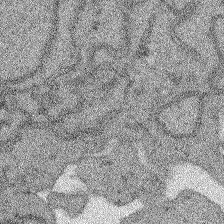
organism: Human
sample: HeLa cells